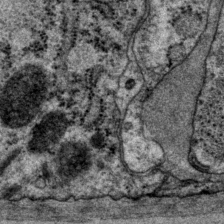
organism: P. pacificus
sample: Pharynx